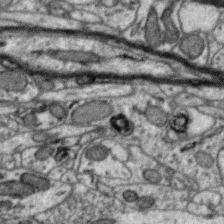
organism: Zebra finch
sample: Brain